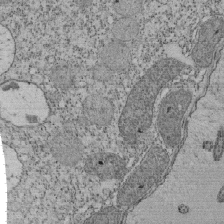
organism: Tetrahymena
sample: Cilia in tetrahymena